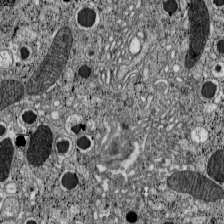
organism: C57BL Mouse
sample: Pancreatic islet